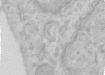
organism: Human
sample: Centriole in RPE cells